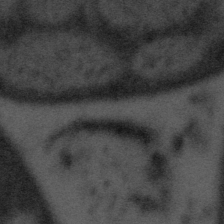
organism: Tuwongella immobilis